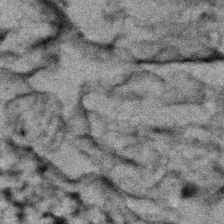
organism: Zebrafish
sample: Zebrafish embryo